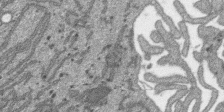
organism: Human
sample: Lung epithelial cells infected with SARS-CoV-2